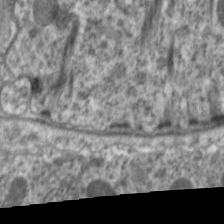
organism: C. elegans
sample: Pharynx